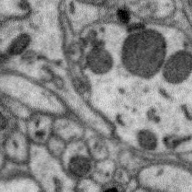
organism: Zebra finch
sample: Brain